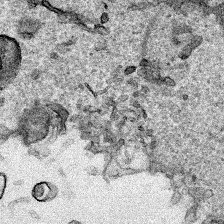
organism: Human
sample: Mitochondria in HCT116 cells